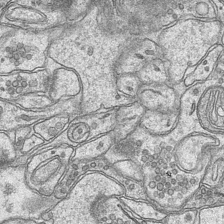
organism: Mouse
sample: CA1 Hippocampus